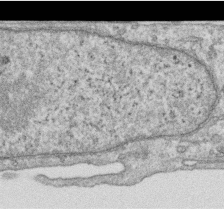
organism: Human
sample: Centriole in RPE cells